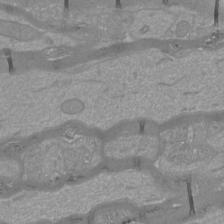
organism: Mouse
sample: Cortical neurons